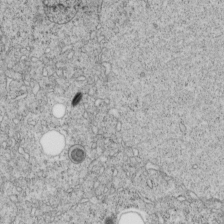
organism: C. elegans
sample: C. elegans embryo early stage